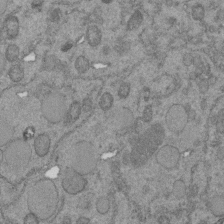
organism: C. elegans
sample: C. elegans embryo early stage